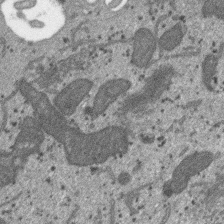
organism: Human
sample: Lung epithelial cells infected with SARS-CoV-2